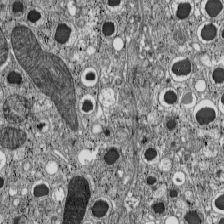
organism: C57BL Mouse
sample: Pancreatic islet